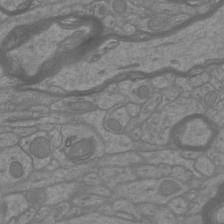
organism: Mouse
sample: Cortical neurons